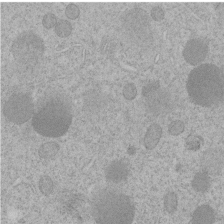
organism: C. elegans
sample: C. elegans embryo early stage